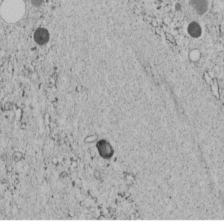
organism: C. elegans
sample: C. elegans embryo early stage